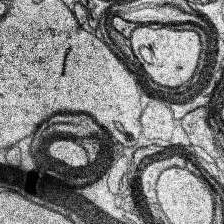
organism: Human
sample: Temporal Lobe